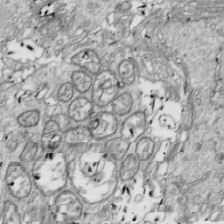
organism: Drosophila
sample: Cell division; meiosis; drosophila spermatocytes